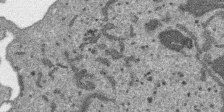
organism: Human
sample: Lung epithelial cells infected with SARS-CoV-2